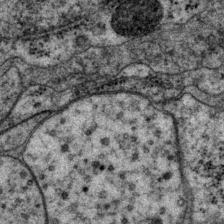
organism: P. pacificus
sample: Pharynx